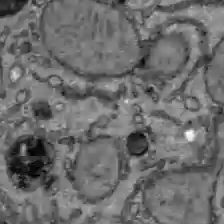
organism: C57BL Mouse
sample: Liver